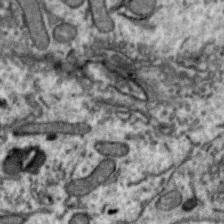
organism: Zebra finch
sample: Brain